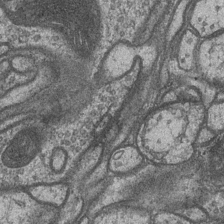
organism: Drosophila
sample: Optic medulla